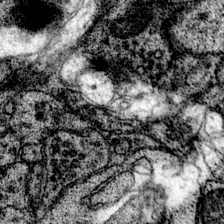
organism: Mouse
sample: Primary visual cortex